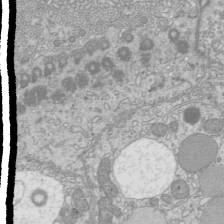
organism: Mouse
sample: Cilia; mouse epididymis